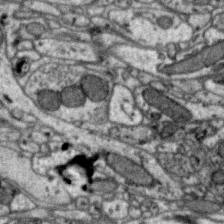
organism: Zebra finch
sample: Brain